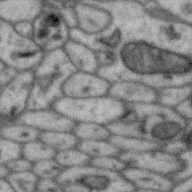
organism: Zebra finch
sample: Brain